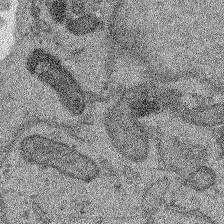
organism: Human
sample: HeLa cells